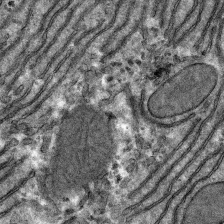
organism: Mouse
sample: Mouse hepatocytes